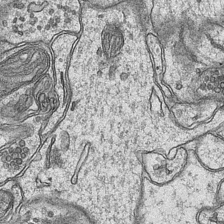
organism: Mouse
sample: CA1 Hippocampus